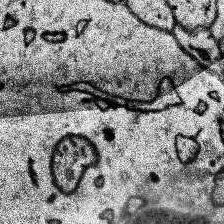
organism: Human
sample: Temporal Lobe